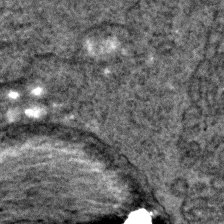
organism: C. elegans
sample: C. elegans embryo